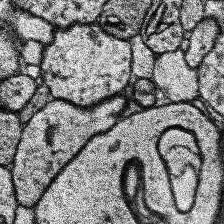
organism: Human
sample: Temporal Lobe